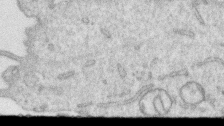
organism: Human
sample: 1205lu cells